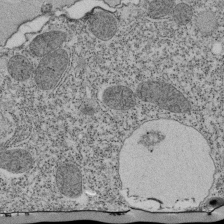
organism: Tetrahymena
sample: Cilia in tetrahymena